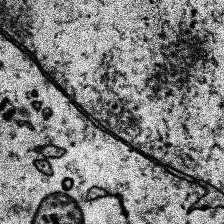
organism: Human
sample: Temporal Lobe